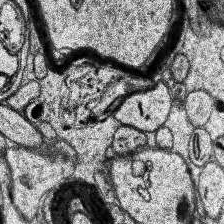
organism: Human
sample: Temporal Lobe